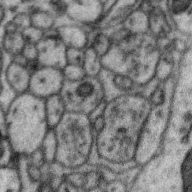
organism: Zebra finch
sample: Brain